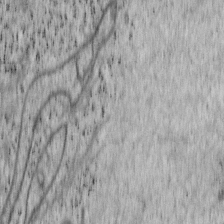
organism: Human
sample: HeLa cells